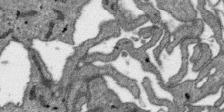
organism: Human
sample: Lung epithelial cells, uninfected (mock) control